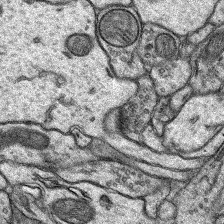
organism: Rat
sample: Hippocampus